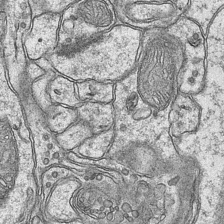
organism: Mouse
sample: CA1 Hippocampus